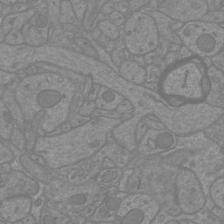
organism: Mouse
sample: Cortical neurons